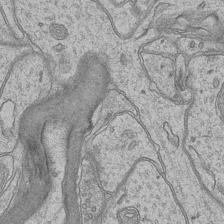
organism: Mouse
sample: CA1 Hippocampus